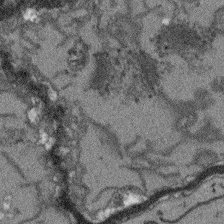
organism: Arabidopsis thaliana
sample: Root tip